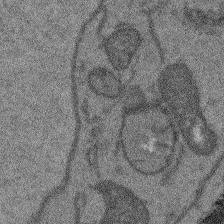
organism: Arabidopsis thaliana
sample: Root tip